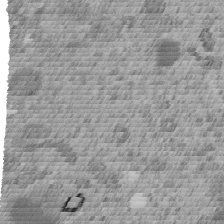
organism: C. elegans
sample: C. elegans embryo early stage